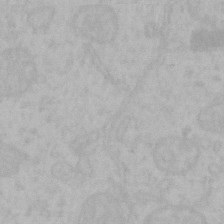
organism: Mouse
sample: Choroid plexus